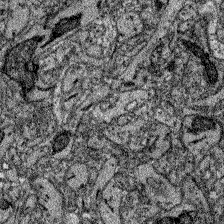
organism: Zebrafish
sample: Larval olfactory bulb